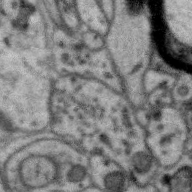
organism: Zebra finch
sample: Brain